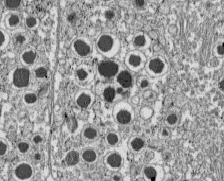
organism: C57BL Mouse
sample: Pancreatic islet